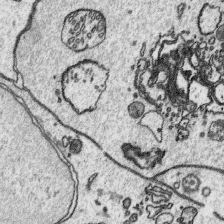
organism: Platynereis dumerilii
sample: Parapodia